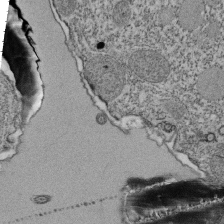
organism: Tetrahymena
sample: Cilia in tetrahymena